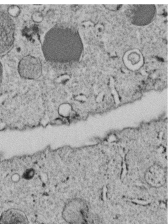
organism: C. elegans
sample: C. elegans embryo early stage